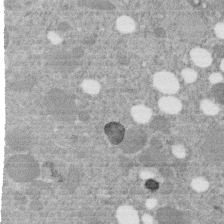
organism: C. elegans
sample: C. elegans embryo early stage